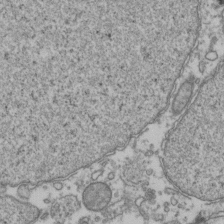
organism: Human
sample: Activated Jurkat CD4+ T cells